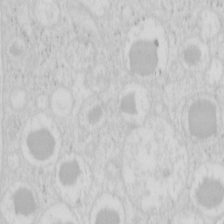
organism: Mouse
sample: Pancreas